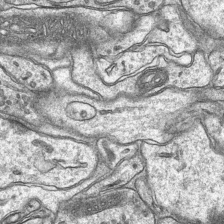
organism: Mouse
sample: CA1 Hippocampus